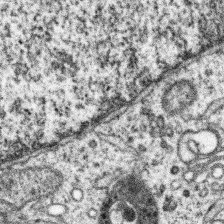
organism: Human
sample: HeLa cells